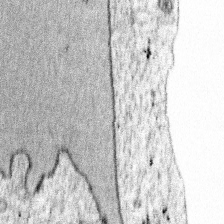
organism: Human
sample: HeLa cells